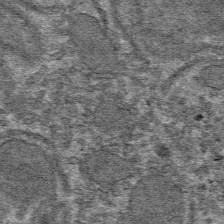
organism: Mouse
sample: Mouse hepatocytes